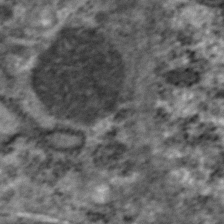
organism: Zebrafish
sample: Zebrafish embryo